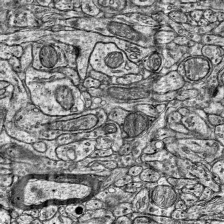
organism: Mouse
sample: Visual Cortex